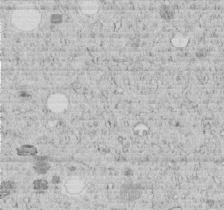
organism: C. elegans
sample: C. elegans embryo early stage